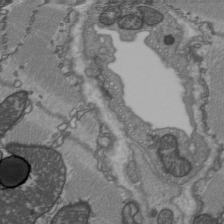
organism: C57BL Mouse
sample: Heart